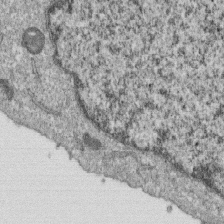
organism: African green monkey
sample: Vero E6 cells infected with SARS-CoV-2